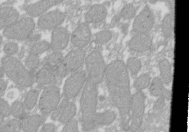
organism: Xenopus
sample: Cilia; centrioles in frog embryo cells